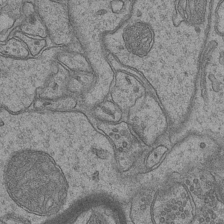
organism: Mouse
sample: CA1 Hippocampus